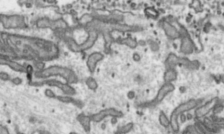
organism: Toxoplasma gondii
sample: Parasites in a vacuole inside a host cell